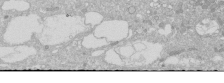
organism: Human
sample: Caco-2 cells